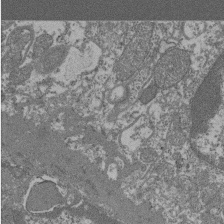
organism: Mouse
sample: Glomerulus